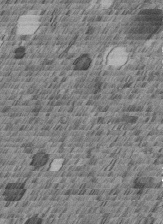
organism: C. elegans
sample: C. elegans embryo early stage